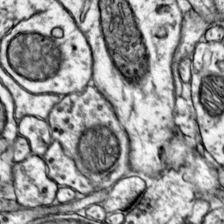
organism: Mouse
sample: Primary visual cortex